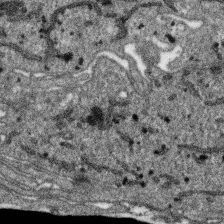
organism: Human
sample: Lung epithelial cells infected with SARS-CoV-2